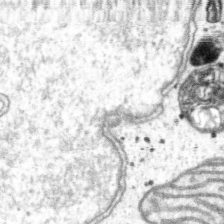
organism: Human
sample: HeLa cells